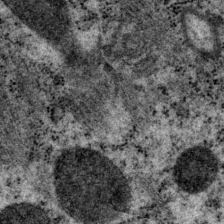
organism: P. pacificus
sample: Pharynx